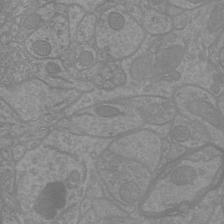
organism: Mouse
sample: Cortical neurons